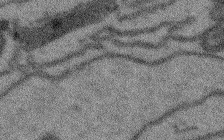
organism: Arabidopsis thaliana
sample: Root tip